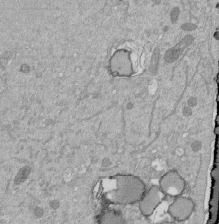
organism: Mouse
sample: ED-1 cell nuclei; centrioles